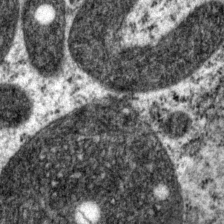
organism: P. pacificus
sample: Pharynx